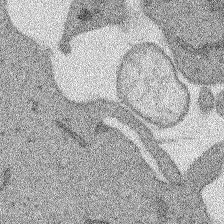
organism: Human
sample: HeLa cells